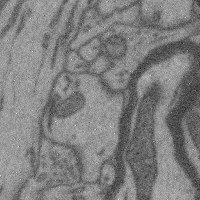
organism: Mouse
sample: Cerebral cortex